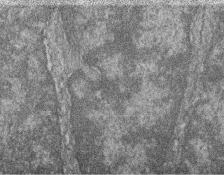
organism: Zebrafish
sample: Cilia; retinal pigment epithelium